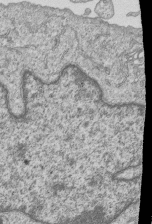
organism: Human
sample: MDA-MB-231 cells